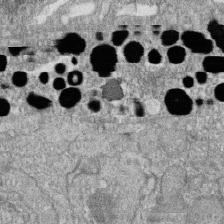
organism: Zebrafish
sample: Cilia; retinal pigment epithelium